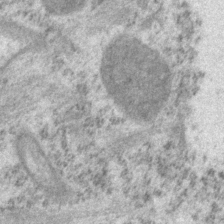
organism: P. pacificus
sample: Pharynx